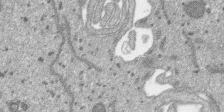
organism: Human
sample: Lung epithelial cells infected with SARS-CoV-2